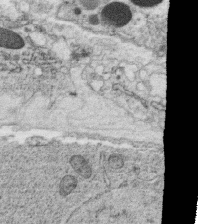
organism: C. elegans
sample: C. elegans oocyte; sperm cells